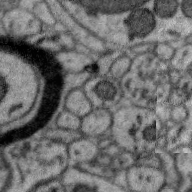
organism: Zebra finch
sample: Brain